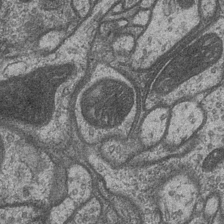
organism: Drosophila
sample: Optic medulla